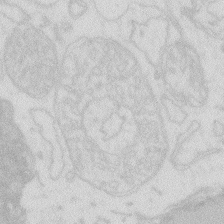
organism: Zebrafish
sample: Macrophage